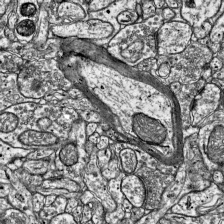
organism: Mouse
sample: Visual Cortex